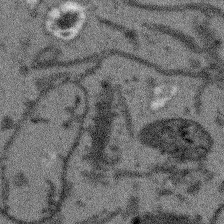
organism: Arabidopsis thaliana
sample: Root tip